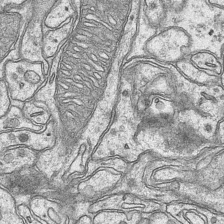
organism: Mouse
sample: CA1 Hippocampus